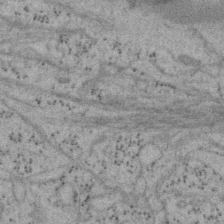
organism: Human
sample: HeLa cells